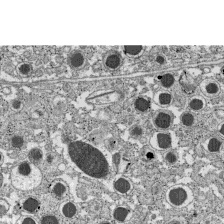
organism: C57BL Mouse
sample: Pancreatic islet